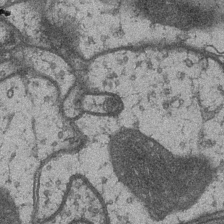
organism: Drosophila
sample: Optic medulla